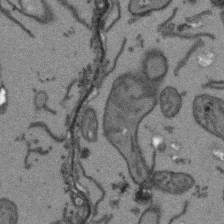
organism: Arabidopsis thaliana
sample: Root tip